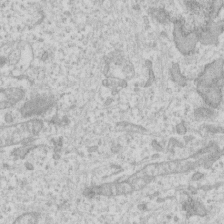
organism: Human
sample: Fibroblast cells